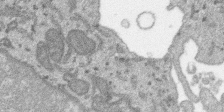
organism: Human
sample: Lung epithelial cells infected with SARS-CoV-2